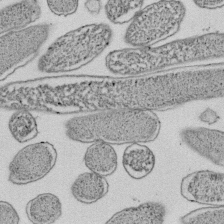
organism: E. coli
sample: Bacterial nucleoid